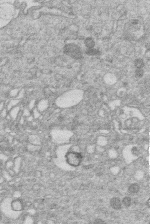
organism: Human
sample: Macrophage cells